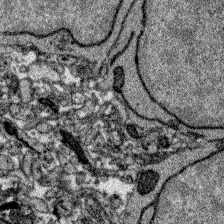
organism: Zebrafish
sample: Larval olfactory bulb